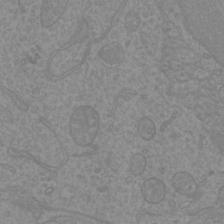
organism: Mouse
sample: Cortical neurons